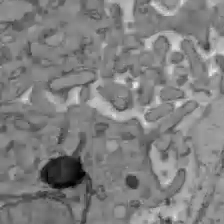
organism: C57BL Mouse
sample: Liver